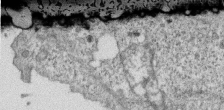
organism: Human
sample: HeLa cell HIV synapse